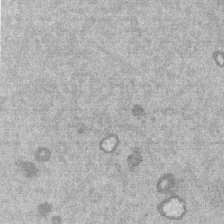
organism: Mouse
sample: Dividing mouse embryo 1 cell stage